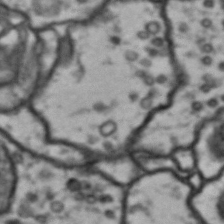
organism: Drosophila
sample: Brain